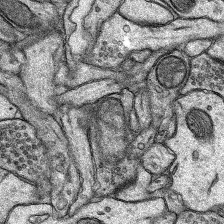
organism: Rat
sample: Hippocampus